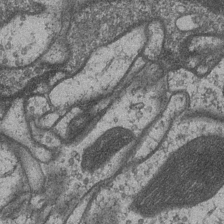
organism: Drosophila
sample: Optic medulla